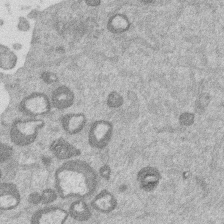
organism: Mouse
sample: Dividing mouse embryo 1 cell stage